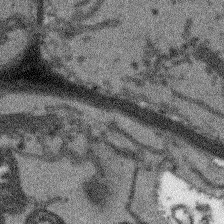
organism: Arabidopsis thaliana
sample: Root tip